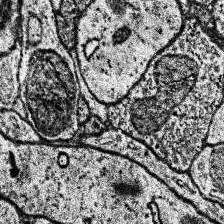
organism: Human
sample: Temporal Lobe